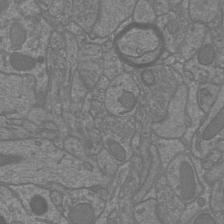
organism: Mouse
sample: Cortical neurons